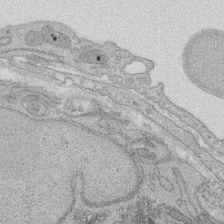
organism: Rat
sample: Salivary granule